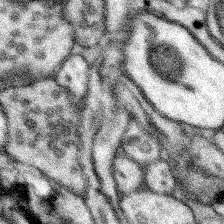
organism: Mouse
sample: Somatosensory cortex neuropil